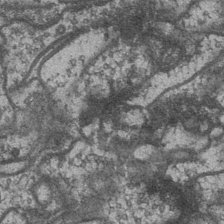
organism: Drosophila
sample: Optic medulla